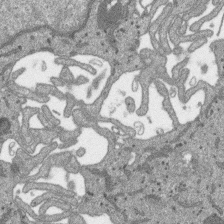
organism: Human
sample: Lung epithelial cells infected with SARS-CoV-2